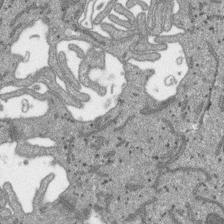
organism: Human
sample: Lung epithelial cells infected with SARS-CoV-2